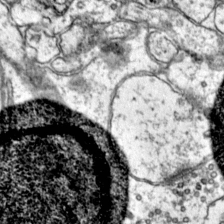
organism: Mouse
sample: Primary visual cortex